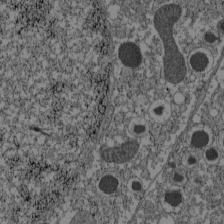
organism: C57BL Mouse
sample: Pancreatic islet